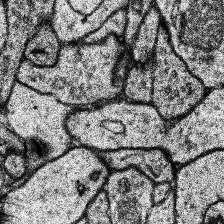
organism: Human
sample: Temporal Lobe